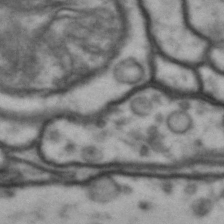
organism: Drosophila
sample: Brain